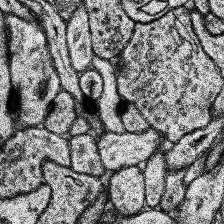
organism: Human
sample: Temporal Lobe